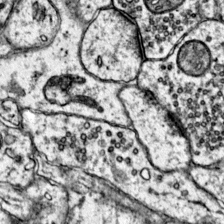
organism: Mouse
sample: Primary visual cortex